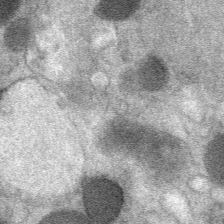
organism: Mouse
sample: Mouse Salivary gland